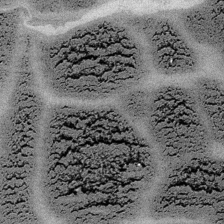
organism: Embia sp.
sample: Silk gland